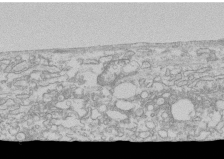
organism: Human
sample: CRL-1474